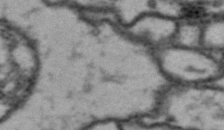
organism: Drosophila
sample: Brain